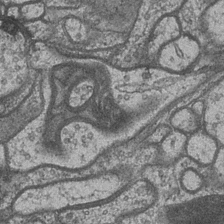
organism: Drosophila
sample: Optic medulla